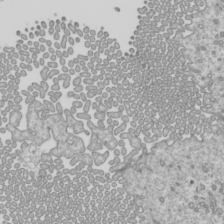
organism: Mouse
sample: Cilia; mouse epididymis